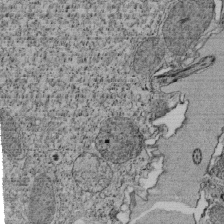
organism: Tetrahymena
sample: Cilia in tetrahymena